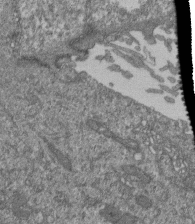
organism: Human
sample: Retinal organoid Rod and Cone cells